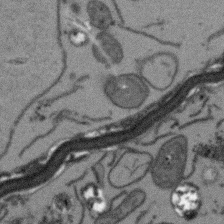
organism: Arabidopsis thaliana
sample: Root tip